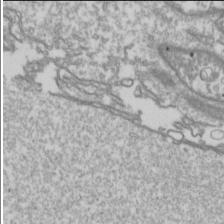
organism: Drosophila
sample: Cell division; meiosis; drosophila spermatocytes